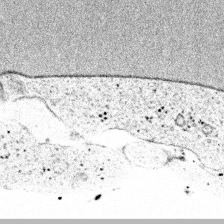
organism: Human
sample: HeLa cells